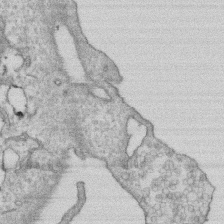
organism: Human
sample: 1205lu cells